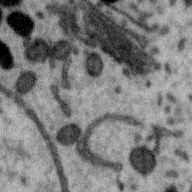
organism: Zebra finch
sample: Brain